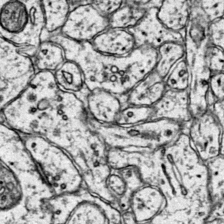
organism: Mouse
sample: Primary visual cortex